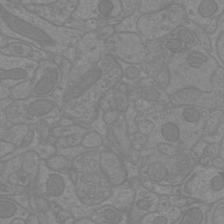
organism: Mouse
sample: Cortical neurons